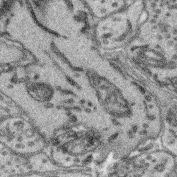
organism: Mouse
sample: Retina